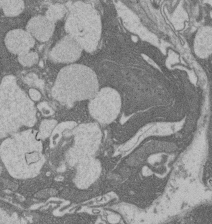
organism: Rat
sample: Salivary granule